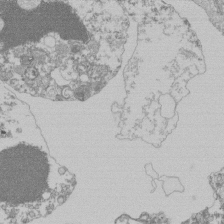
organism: Mouse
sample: Activated Pmel transgenic CD8+ T Cells